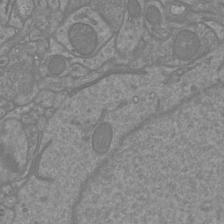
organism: Mouse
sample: Cortical neurons